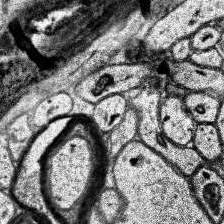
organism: Human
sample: Temporal Lobe